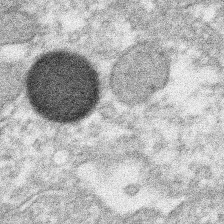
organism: Xenopus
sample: Cilia; centrioles in frog embryo cells